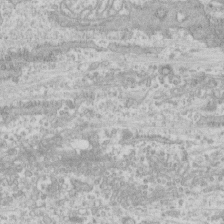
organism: Human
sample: CRL-1474